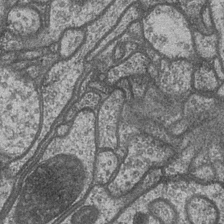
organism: Drosophila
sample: Optic medulla